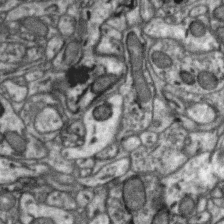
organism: Zebra finch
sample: Brain